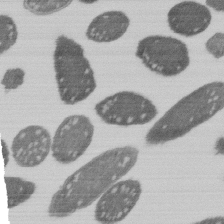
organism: E. coli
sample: Bacterial nucleoid